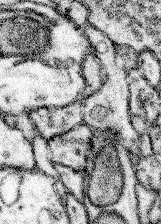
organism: Mouse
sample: Somatosensory cortex neuropil